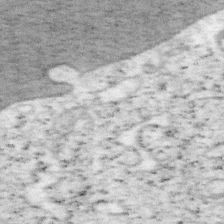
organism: Mouse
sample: OT-I killer T cells with ID8 ovarian cancer cells